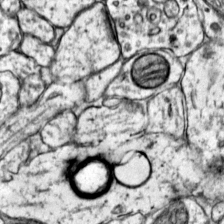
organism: Mouse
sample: Primary visual cortex